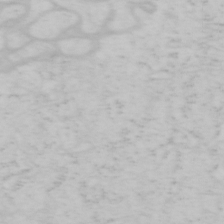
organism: Mouse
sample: OT-I killer T cells with ID8 ovarian cancer cells